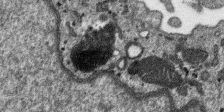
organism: Human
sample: Lung epithelial cells infected with SARS-CoV-2